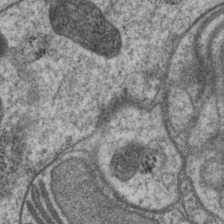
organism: P. pacificus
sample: Pharynx